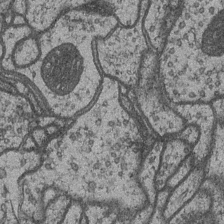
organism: Drosophila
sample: Optic medulla